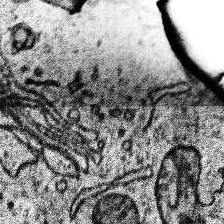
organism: Human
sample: Temporal Lobe